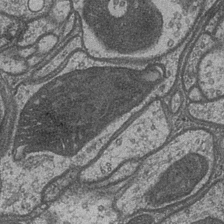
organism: Drosophila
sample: Optic medulla